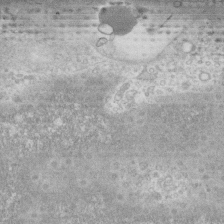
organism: Human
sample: Fibroblast cells